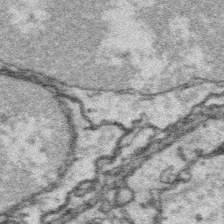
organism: Platynereis dumerilii